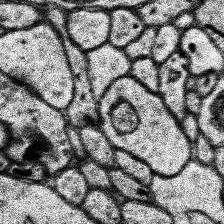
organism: Human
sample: Temporal Lobe